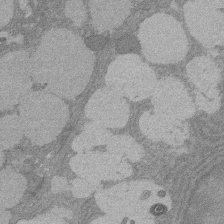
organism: Rat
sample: Salivary granule